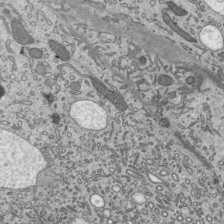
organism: Mouse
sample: Mouse epididymis efferent ductule cilia